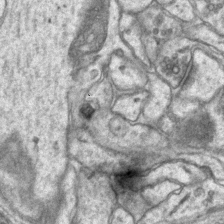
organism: Mouse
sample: CA1 Hippocampus